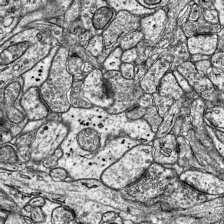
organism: Mouse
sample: Visual Cortex